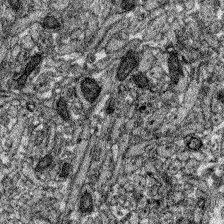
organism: Zebrafish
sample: Larval olfactory bulb